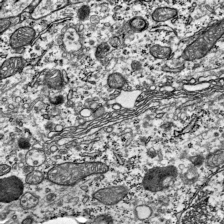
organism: Mouse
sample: Visual Cortex